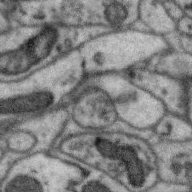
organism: Zebra finch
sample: Brain